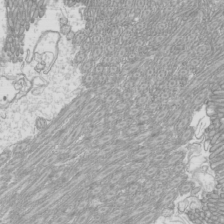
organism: Mouse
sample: Cilia; mouse epididymis